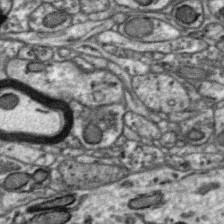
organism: Zebra finch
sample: Brain